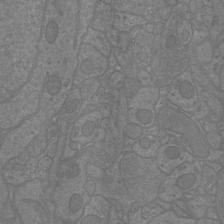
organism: Mouse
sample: Cortical neurons